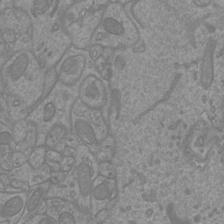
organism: Mouse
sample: Cortical neurons